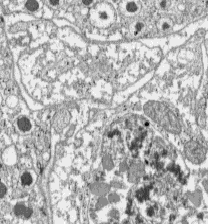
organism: C57BL Mouse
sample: Pancreatic islet